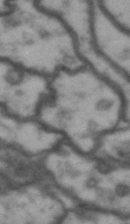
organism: Drosophila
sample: Brain